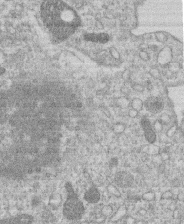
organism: Human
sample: Macrophage cells